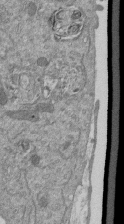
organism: Mouse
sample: ED-1 cell nuclei; centrioles